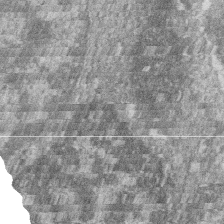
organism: Zebrafish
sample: Cilia; retinal pigment epithelium